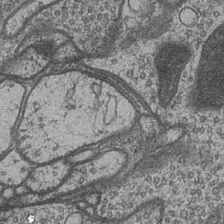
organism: Drosophila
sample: Optic medulla